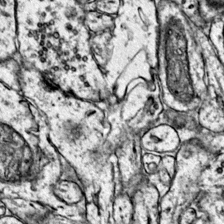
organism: Mouse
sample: Primary visual cortex